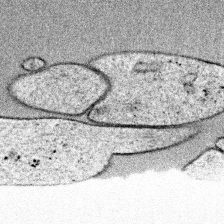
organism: Human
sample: HeLa cells